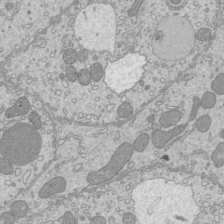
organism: Mouse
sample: Cilia; mouse epididymis